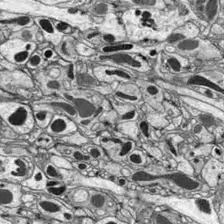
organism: Drosophila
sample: Optic lobe